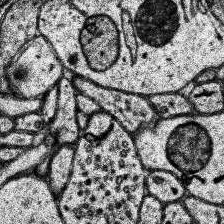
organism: Human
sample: Temporal Lobe